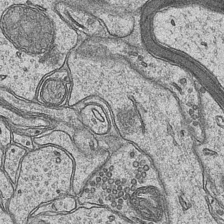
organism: Mouse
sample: CA1 Hippocampus